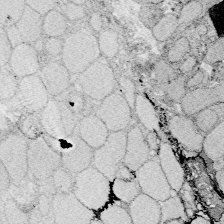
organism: Zebrafish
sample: Whole-Brain